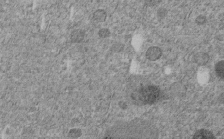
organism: C. elegans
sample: C. elegans embryo early stage